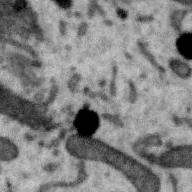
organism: Zebra finch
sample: Brain